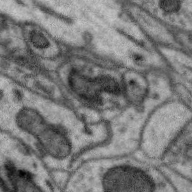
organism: Zebra finch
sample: Brain